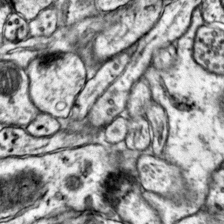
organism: Mouse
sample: Primary visual cortex